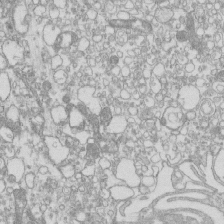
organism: Mouse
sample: Macrophages